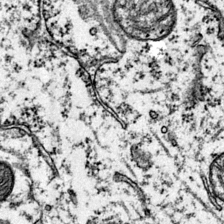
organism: Mouse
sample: Primary visual cortex